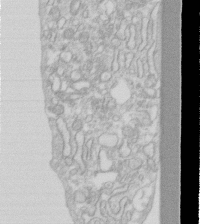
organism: Human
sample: Fibroblast cells